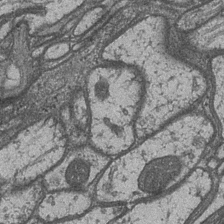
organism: Drosophila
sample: Optic medulla